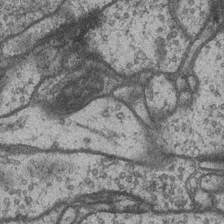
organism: Drosophila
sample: Optic medulla